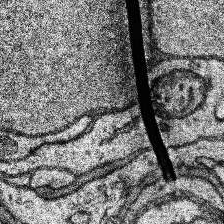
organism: Human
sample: Temporal Lobe